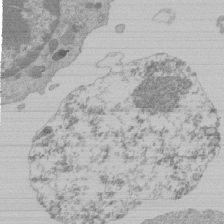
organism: Mouse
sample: Activated Pmel transgenic CD8+ T Cells